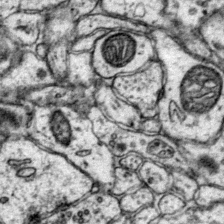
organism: Mouse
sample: Primary visual cortex